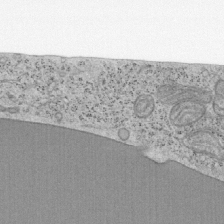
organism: Human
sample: HeLa cells